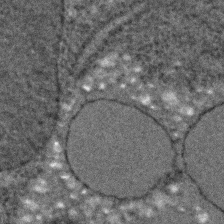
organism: C. elegans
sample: C. elegans embryo